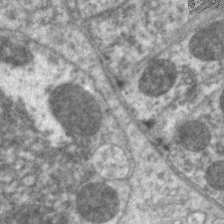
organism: C. elegans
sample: Pharynx